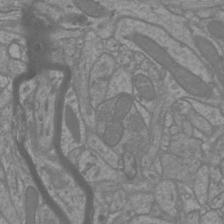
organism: Mouse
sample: Cortical neurons